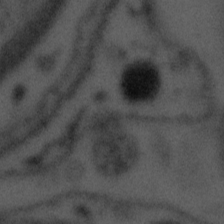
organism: Tuwongella immobilis